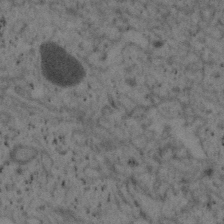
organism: Human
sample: HeLa cells